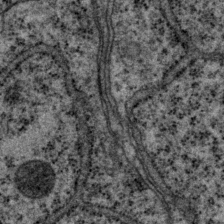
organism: P. pacificus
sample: Pharynx